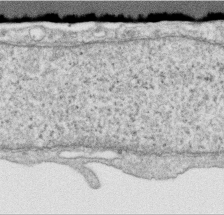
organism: Human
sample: Centriole in RPE cells